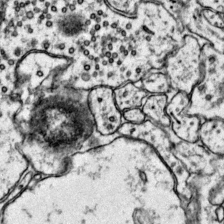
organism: Mouse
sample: Primary visual cortex